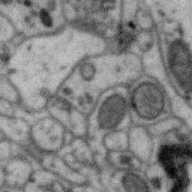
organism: Zebra finch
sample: Brain